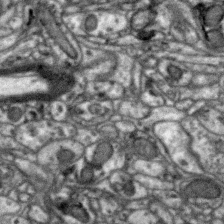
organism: Zebra finch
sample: Brain